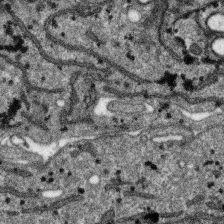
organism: Human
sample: Lung epithelial cells infected with SARS-CoV-2